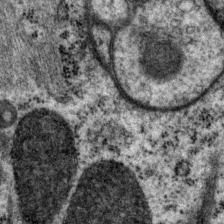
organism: P. pacificus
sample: Pharynx